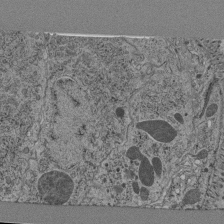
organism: C. elegans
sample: C. elegans pharynx